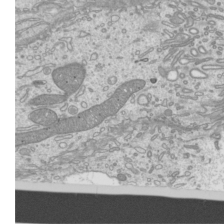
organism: Mouse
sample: Cilia; mouse epididymis